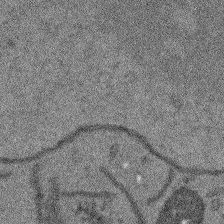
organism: Arabidopsis thaliana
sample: Root tip